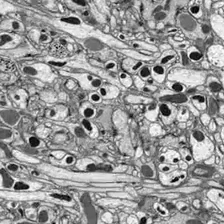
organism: Drosophila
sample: Optic lobe